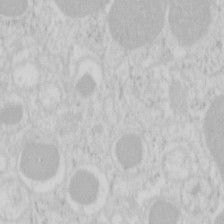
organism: Mouse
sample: Pancreas